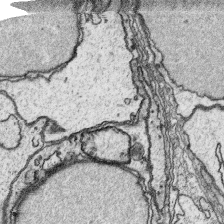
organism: Platynereis dumerilii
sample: Parapodia